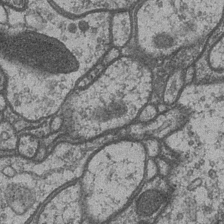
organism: Drosophila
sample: Optic medulla